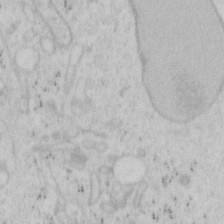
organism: Human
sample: HeLa cells